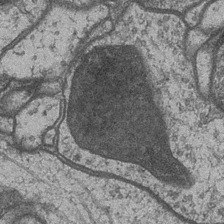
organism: Drosophila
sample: Optic medulla